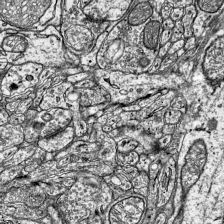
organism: Mouse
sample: Visual Cortex